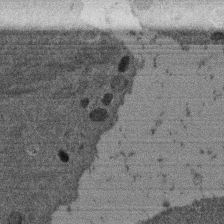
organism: Mouse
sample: Dividing mouse embryo 1 cell stage